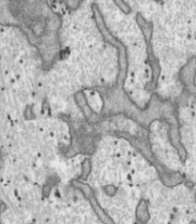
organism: Toxoplasma gondii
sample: Parasites in a vacuole inside a host cell